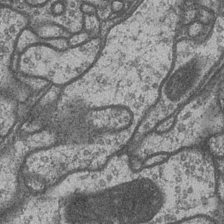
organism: Drosophila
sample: Optic medulla